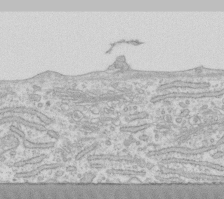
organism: Human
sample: Fibroblast cells